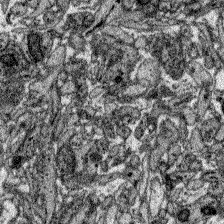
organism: Zebrafish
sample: Larval olfactory bulb